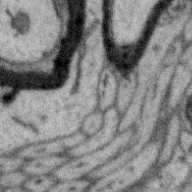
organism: Zebra finch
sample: Brain